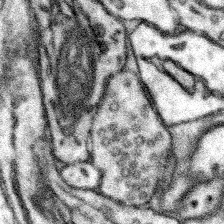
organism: Mouse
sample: Somatosensory cortex neuropil